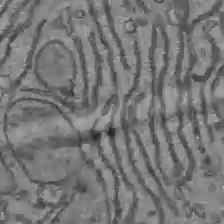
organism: C57BL Mouse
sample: Liver